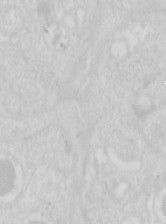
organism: Mouse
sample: Pancreas